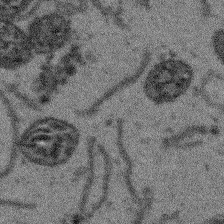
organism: Arabidopsis thaliana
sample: Root tip